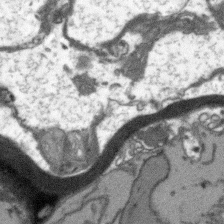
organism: Arabidopsis thaliana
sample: Root tip